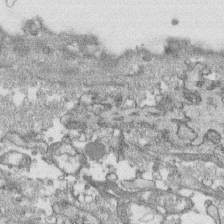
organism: Human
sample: CRL-1474